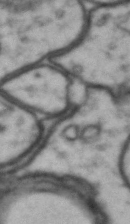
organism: Drosophila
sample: Brain